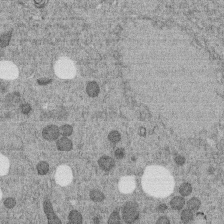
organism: C. elegans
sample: C. elegans embryo early stage